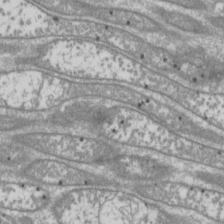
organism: Drosophila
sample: Cell division; meiosis; drosophila spermatocytes